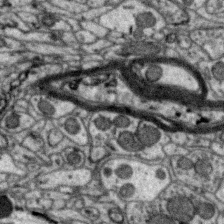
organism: Zebra finch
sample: Brain